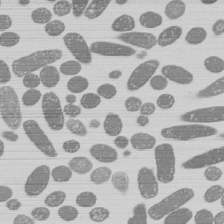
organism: E. coli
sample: Bacterial nucleoid